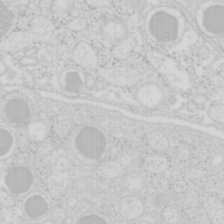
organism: Mouse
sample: Pancreas